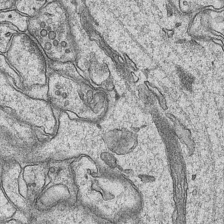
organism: Mouse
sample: CA1 Hippocampus